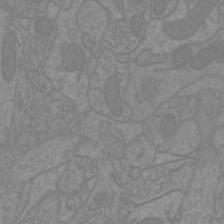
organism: Mouse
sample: Cortical neurons